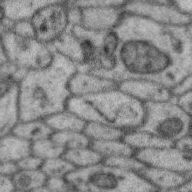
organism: Zebra finch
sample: Brain